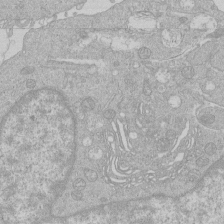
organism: Human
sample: Macrophage cells